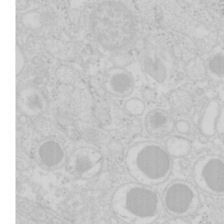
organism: Mouse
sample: Pancreas